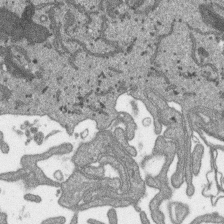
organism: Human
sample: Lung epithelial cells infected with SARS-CoV-2